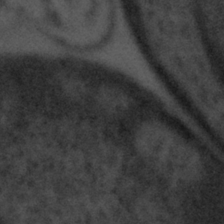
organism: Tuwongella immobilis